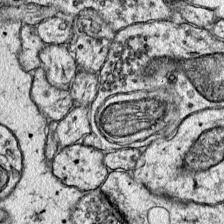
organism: Mouse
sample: Primary visual cortex